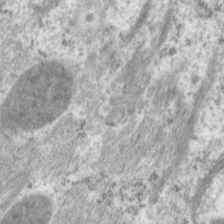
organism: P. pacificus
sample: Pharynx